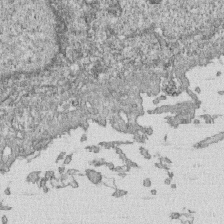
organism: Human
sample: HeLa cell HIV synapse